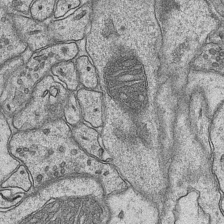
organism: Mouse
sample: CA1 Hippocampus